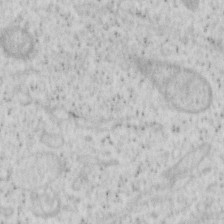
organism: Human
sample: HeLa cells